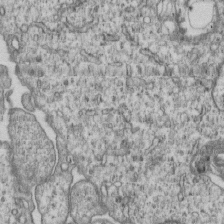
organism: Human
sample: MDA-MB-231 cells